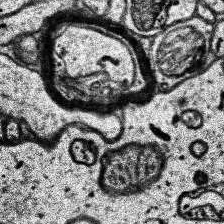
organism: Human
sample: Temporal Lobe